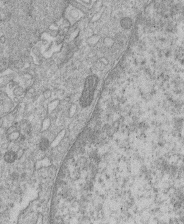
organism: Human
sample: Macrophage cells